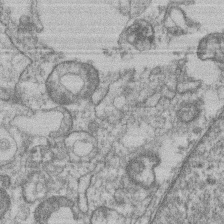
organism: Mouse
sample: T cell stromal cell synapse